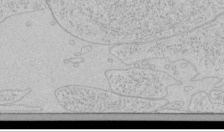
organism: Human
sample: Mitochondria in HCT116 cells